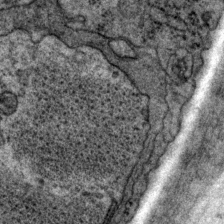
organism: P. pacificus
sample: Pharynx